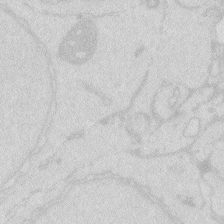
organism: Zebrafish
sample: Macrophage